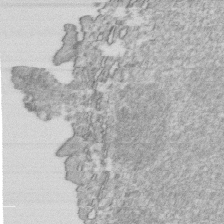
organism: Mouse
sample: Activated OT-1 CD8+ T cells